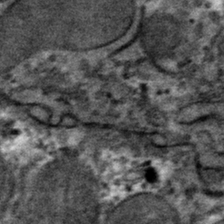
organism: Mouse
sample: Mouse hepatocytes